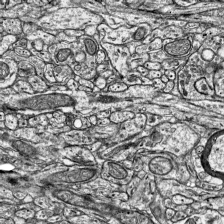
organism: Mouse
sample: Visual Cortex